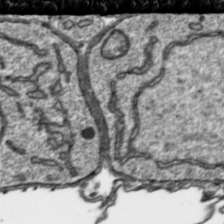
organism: Toxoplasma gondii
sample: Parasites in a vacuole inside a host cell